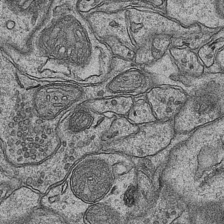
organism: Mouse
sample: CA1 Hippocampus